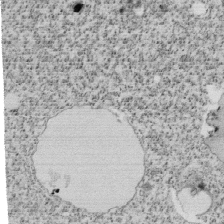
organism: Tetrahymena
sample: Cilia in tetrahymena